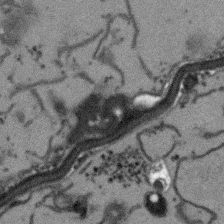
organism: Arabidopsis thaliana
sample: Root tip